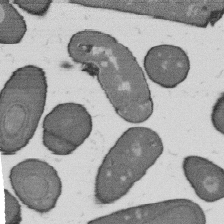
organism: B. subtilis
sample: Bacterial spore